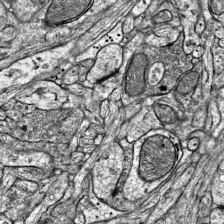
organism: Mouse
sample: Visual Cortex